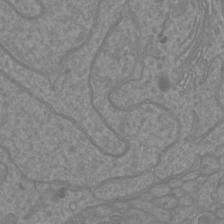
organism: Mouse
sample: Cortical neurons